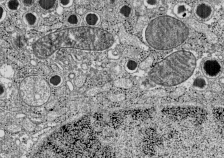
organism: C57BL Mouse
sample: Pancreatic islet